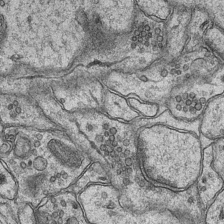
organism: Mouse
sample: CA1 Hippocampus